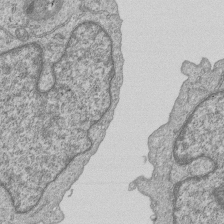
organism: Human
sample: MDA-MB-231 cells